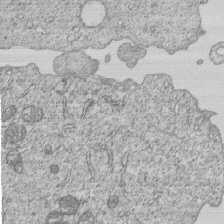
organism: Human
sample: MDA-MB-231 cells